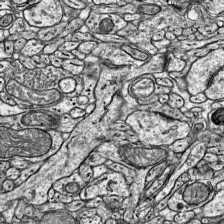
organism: Mouse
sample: Visual Cortex